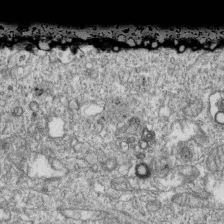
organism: Human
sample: HeLa cell HIV synapse